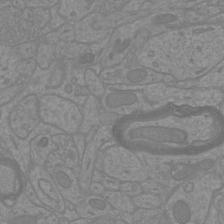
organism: Mouse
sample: Cortical neurons